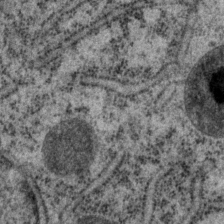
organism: P. pacificus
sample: Pharynx